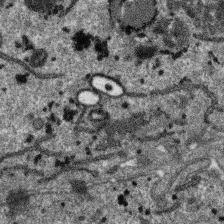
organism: Human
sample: Lung epithelial cells infected with SARS-CoV-2